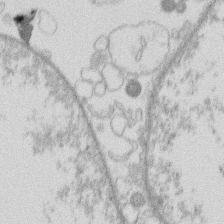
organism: Human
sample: Macrophage cells